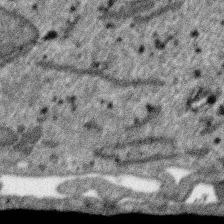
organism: Human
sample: Lung epithelial cells infected with SARS-CoV-2